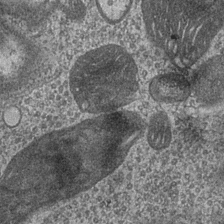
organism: Drosophila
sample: Optic medulla